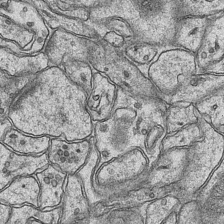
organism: Mouse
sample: CA1 Hippocampus